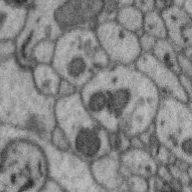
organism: Zebra finch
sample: Brain